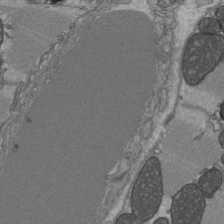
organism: C57BL Mouse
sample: Heart